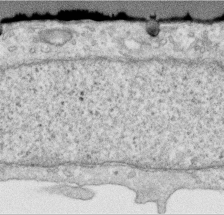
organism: Human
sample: Centriole in RPE cells